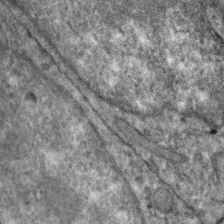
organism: Zebra finch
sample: Brain